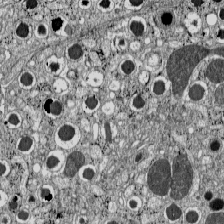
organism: C57BL Mouse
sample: Pancreatic islet